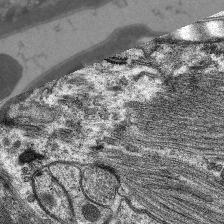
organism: C. elegans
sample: Pharynx